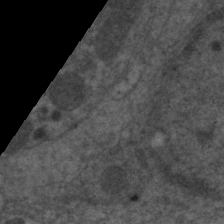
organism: C. elegans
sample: Pharynx